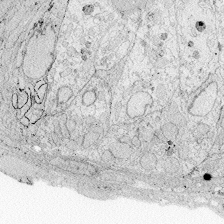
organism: Zebrafish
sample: Whole-Brain